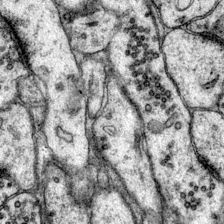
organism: Mouse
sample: Primary visual cortex